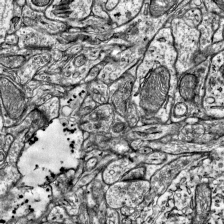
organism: Mouse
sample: Visual Cortex